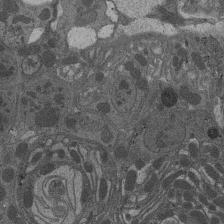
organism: Drosophila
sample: Antenna